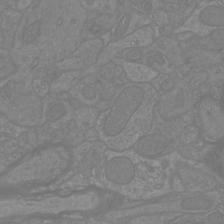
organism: Mouse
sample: Cortical neurons